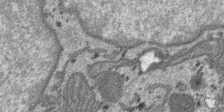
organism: Human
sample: Lung epithelial cells infected with SARS-CoV-2